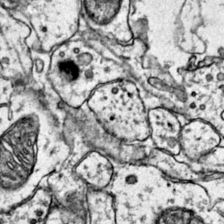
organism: Mouse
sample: Primary visual cortex